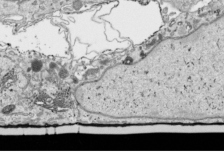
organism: Human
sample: Mitochondria in HCT116 cells